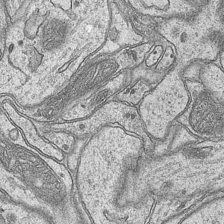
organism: Mouse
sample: CA1 Hippocampus